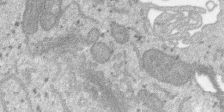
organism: Human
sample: Lung epithelial cells infected with SARS-CoV-2